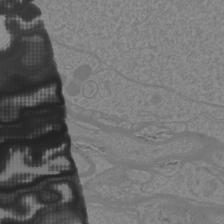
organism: Mouse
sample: Cortical neurons